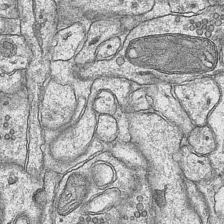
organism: Mouse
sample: CA1 Hippocampus